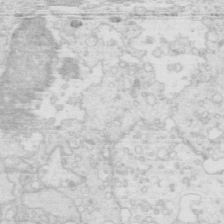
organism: Mouse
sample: Multiciliated cells